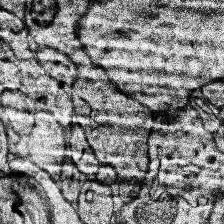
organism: Human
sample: Temporal Lobe